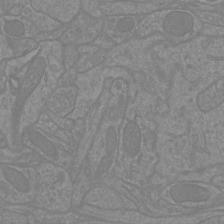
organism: Mouse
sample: Cortical neurons